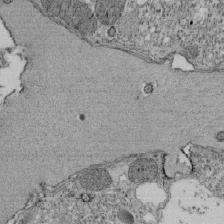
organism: Tetrahymena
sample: Cilia in tetrahymena